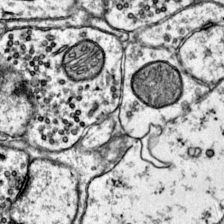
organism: Mouse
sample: Primary visual cortex